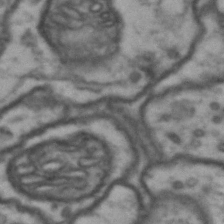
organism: Drosophila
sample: Brain